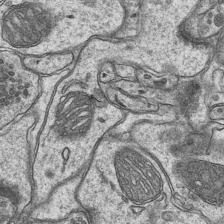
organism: Mouse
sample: CA1 Hippocampus